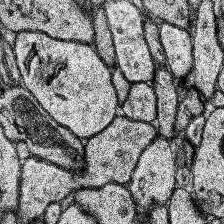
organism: Human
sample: Temporal Lobe